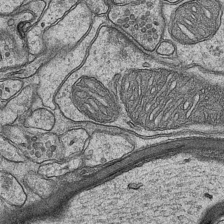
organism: Mouse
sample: CA1 Hippocampus